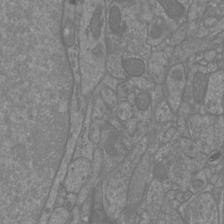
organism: Mouse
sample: Cortical neurons